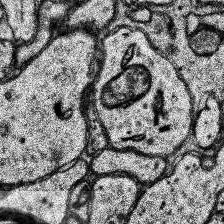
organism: Human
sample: Temporal Lobe